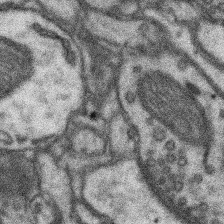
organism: Mouse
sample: Somatosensory cortex neuropil